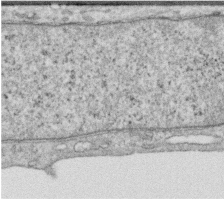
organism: Human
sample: Centriole in RPE cells